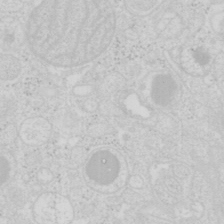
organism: Mouse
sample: Pancreas